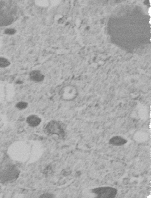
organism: C. elegans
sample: C. elegans embryo early stage